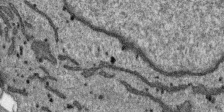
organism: Human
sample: Lung epithelial cells, uninfected (mock) control